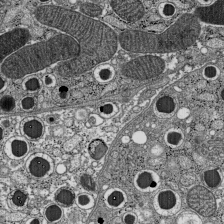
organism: C57BL Mouse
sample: Pancreatic islet